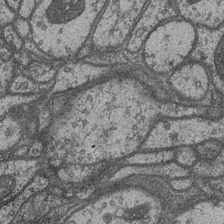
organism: Drosophila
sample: Optic medulla